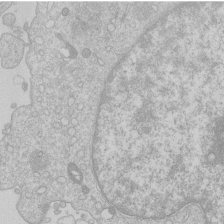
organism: Human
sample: Macrophage cells